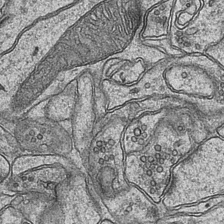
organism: Mouse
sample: CA1 Hippocampus